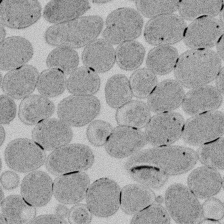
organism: E. coli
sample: Bacterial nucleoid